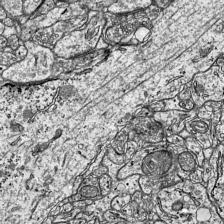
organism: Mouse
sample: Visual Cortex